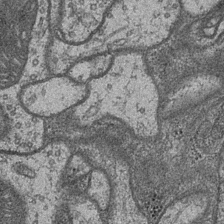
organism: Drosophila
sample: Optic medulla